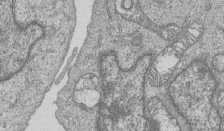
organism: Human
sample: MDA-MB-231 cells